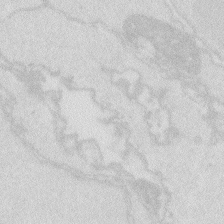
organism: Zebrafish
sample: Macrophage